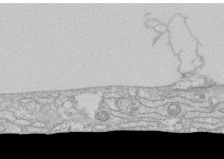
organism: Human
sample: CRL-1474